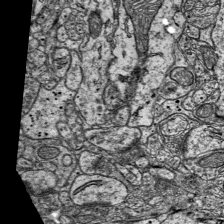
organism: Mouse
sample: Visual Cortex